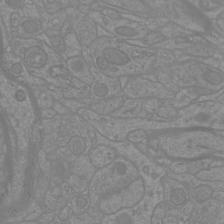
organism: Mouse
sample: Cortical neurons